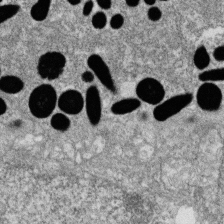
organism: Zebrafish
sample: Cilia; retinal pigment epithelium